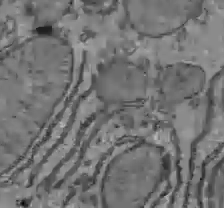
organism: C57BL Mouse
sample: Liver